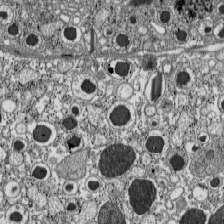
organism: C57BL Mouse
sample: Pancreatic islet